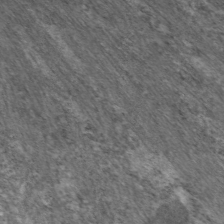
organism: C. elegans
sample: Pharynx